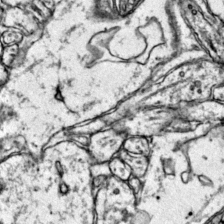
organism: Mouse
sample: Primary visual cortex